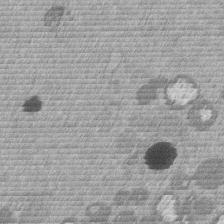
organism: Mouse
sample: Dividing mouse embryo 1 cell stage